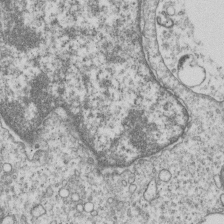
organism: Human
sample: MDA-MB-231 cells